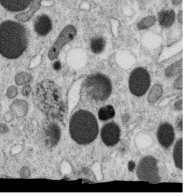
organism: C. elegans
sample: C. elegans oocyte; sperm cells